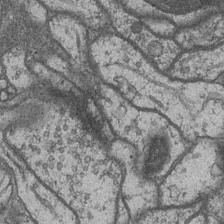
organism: Drosophila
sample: Optic medulla